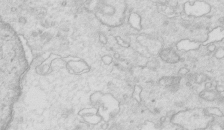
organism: Mouse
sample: Multiciliated cells